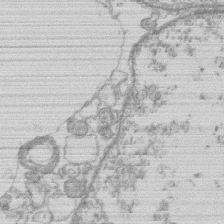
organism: Human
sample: Macrophage cells